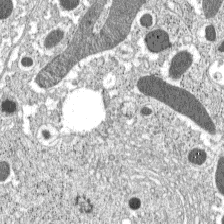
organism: C57BL Mouse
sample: Pancreatic islet